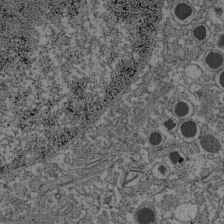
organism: C57BL Mouse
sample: Pancreatic islet